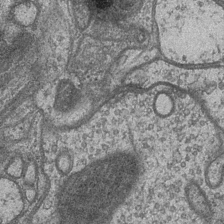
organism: Drosophila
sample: Optic medulla